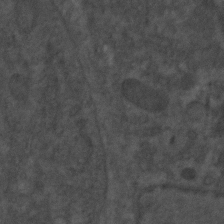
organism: C. elegans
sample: C. elegans embryo